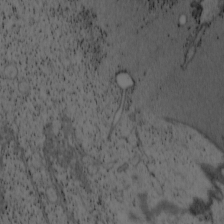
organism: African green monkey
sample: COS-7 cells